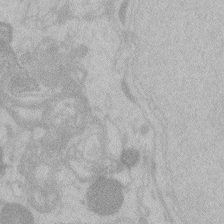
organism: Zebrafish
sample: Macrophage infected with Toxoplasma gondii